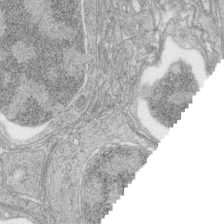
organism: Zebrafish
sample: synaptic ribbons in rod cells and cone cells